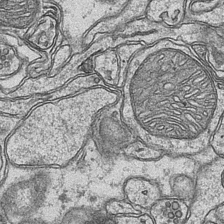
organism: Mouse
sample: CA1 Hippocampus